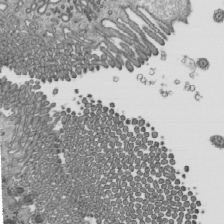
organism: Mouse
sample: Mouse epididymis efferent ductule cilia